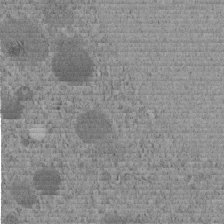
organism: C. elegans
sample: C. elegans embryo early stage